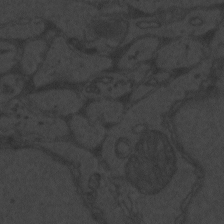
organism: Zebrafish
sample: Macrophage infected with Toxoplasma gondii